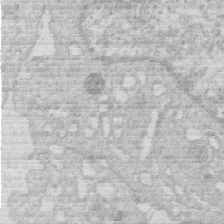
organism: Human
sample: Macrophage cells